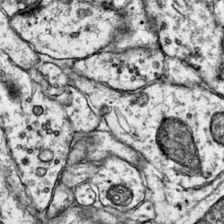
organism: Mouse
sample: Primary visual cortex